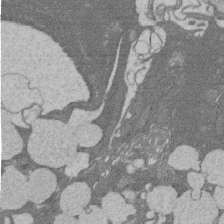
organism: Rat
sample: Salivary granule